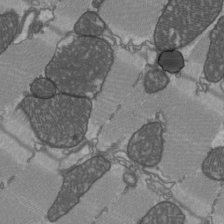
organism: C57BL Mouse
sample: Heart